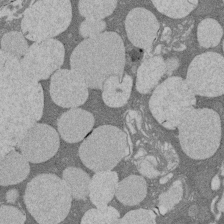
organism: Rat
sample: Salivary granule